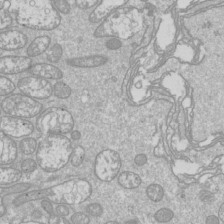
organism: Drosophila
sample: Cell division; meiosis; drosophila spermatocytes